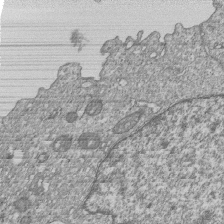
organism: Human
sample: MDA-MB-231 cells